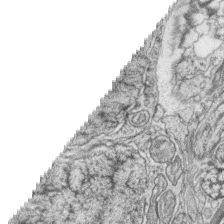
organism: Zebrafish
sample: synaptic ribbons in rod cells and cone cells